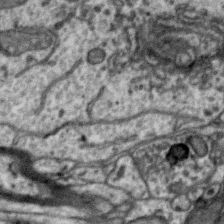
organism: Zebra finch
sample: Brain